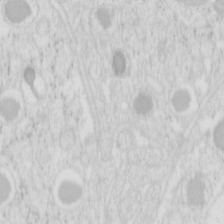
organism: Mouse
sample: Pancreas